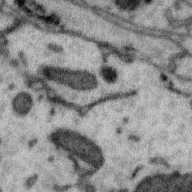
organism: Zebra finch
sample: Brain